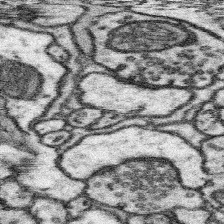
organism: Mouse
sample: Somatosensory cortex neuropil